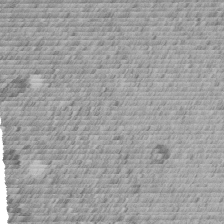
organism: C. elegans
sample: C. elegans embryo early stage